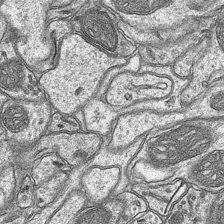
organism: Mouse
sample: CA1 Hippocampus